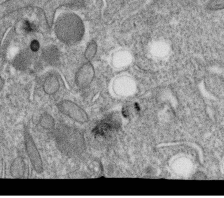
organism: C. elegans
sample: C. elegans oocyte; sperm cells